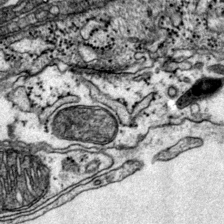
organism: Mouse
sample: Primary visual cortex